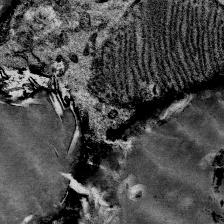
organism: Mouse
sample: Mouse Salivary gland